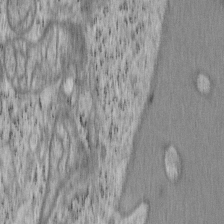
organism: Human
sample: HeLa cells